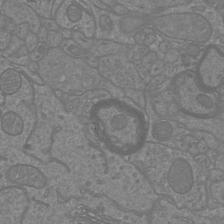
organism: Mouse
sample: Cortical neurons